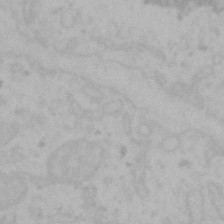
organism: Mouse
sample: Choroid plexus